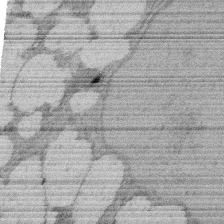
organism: Rat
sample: Salivary granule